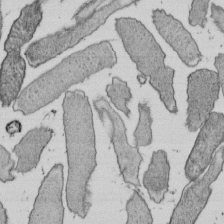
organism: E. coli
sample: Bacterial nucleoid